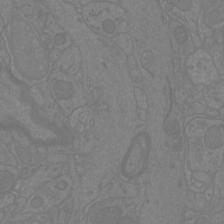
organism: Mouse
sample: Cortical neurons